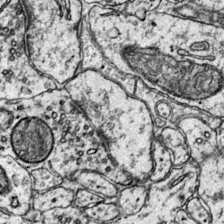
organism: Mouse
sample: Primary visual cortex